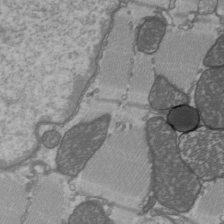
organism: C57BL Mouse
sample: Heart